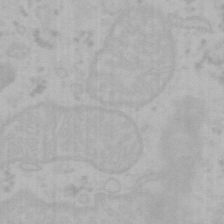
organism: Mouse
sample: Choroid plexus